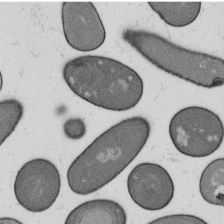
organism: B. subtilis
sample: Bacterial spore